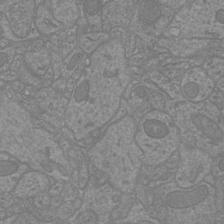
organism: Mouse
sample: Cortical neurons